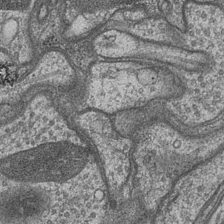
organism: Drosophila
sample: Optic medulla